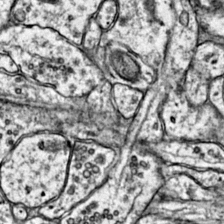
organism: Mouse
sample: Primary visual cortex